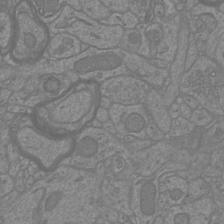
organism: Mouse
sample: Cortical neurons